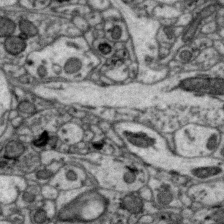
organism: Zebra finch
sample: Brain